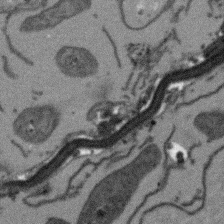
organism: Arabidopsis thaliana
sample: Root tip